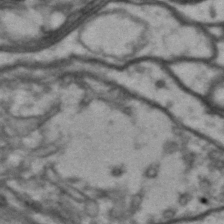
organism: Drosophila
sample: Brain